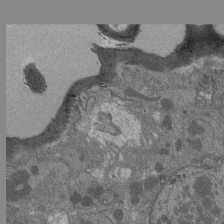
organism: Drosophila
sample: Antenna